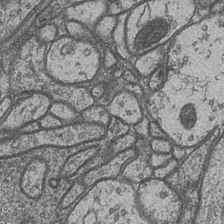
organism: Drosophila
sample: Optic medulla